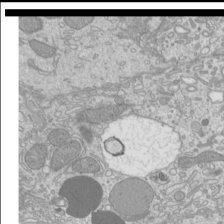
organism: Mouse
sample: Cilia; mouse epididymis